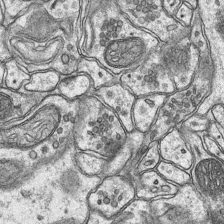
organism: Mouse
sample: CA1 Hippocampus